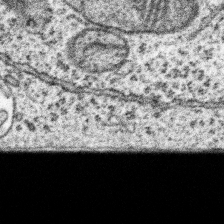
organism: Human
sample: HeLa cells